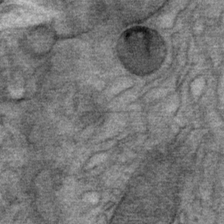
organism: Mouse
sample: Mouse Salivary gland